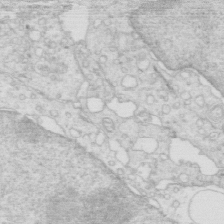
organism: Mouse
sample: Multiciliated cells